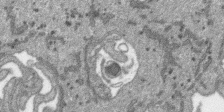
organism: Human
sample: Lung epithelial cells infected with SARS-CoV-2